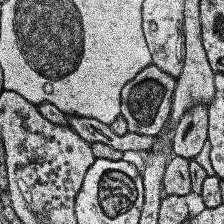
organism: Human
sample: Temporal Lobe